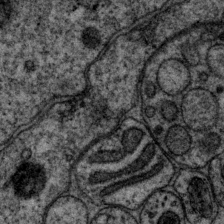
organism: P. pacificus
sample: Pharynx